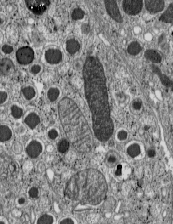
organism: C57BL Mouse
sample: Pancreatic islet